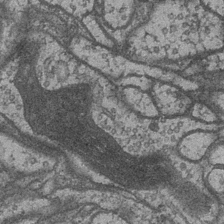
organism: Drosophila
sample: Optic medulla